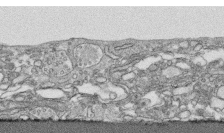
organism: Human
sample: CRL-1474